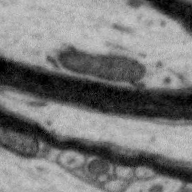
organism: Zebra finch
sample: Brain